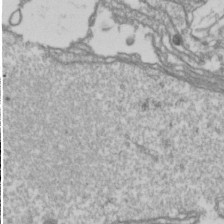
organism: Drosophila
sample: Cell division; meiosis; drosophila spermatocytes